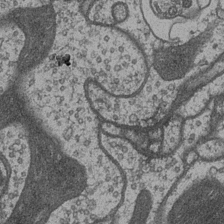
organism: Drosophila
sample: Optic medulla